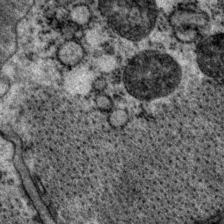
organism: P. pacificus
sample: Pharynx